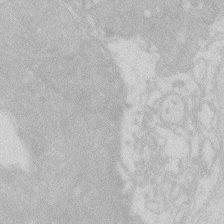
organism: Zebrafish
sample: Macrophage